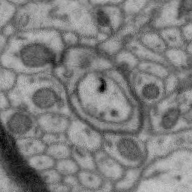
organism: Zebra finch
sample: Brain